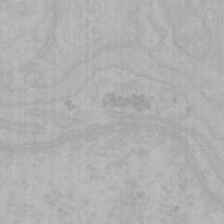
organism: Mouse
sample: Choroid plexus